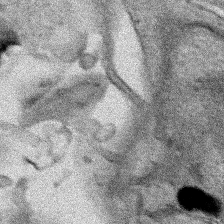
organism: Human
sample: Mitochondria in HCT116 cells